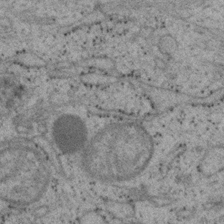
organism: Human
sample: HeLa cells